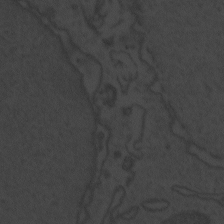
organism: Zebrafish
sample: Macrophage infected with Toxoplasma gondii